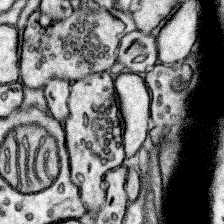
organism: Mouse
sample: Somatosensory cortex neuropil